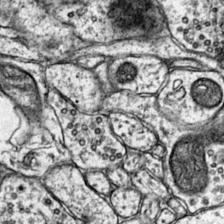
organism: Mouse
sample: Primary visual cortex